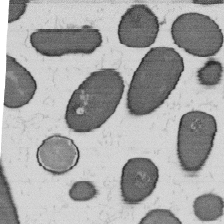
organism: B. subtilis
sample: Bacterial spore